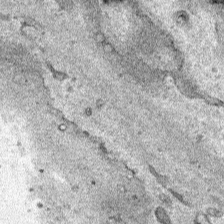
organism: Human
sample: Mitochondria in HCT116 cells